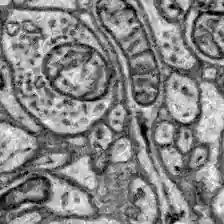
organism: Zebrafish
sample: Brain